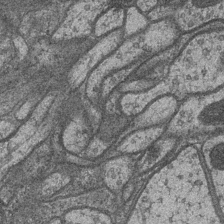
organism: Drosophila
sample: Optic medulla